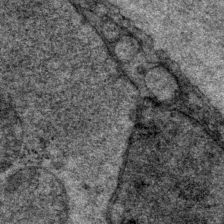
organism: P. pacificus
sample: Pharynx